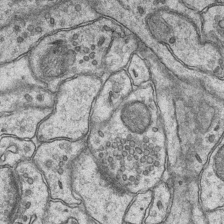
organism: Mouse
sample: CA1 Hippocampus